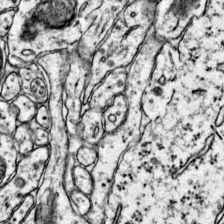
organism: Mouse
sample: Primary visual cortex